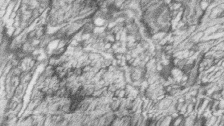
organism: Zebrafish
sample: synaptic ribbons in rod cells and cone cells